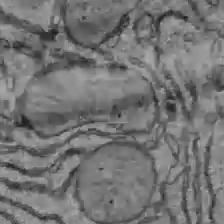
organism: C57BL Mouse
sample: Liver